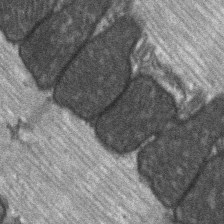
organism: C57BL Mouse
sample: Soleus